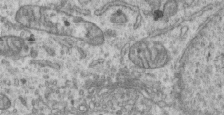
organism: Human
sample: Centriole in RPE cells